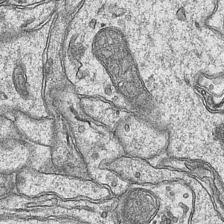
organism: Mouse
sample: CA1 Hippocampus